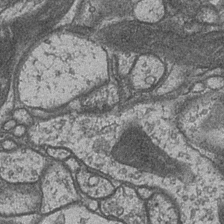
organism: Drosophila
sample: Optic medulla